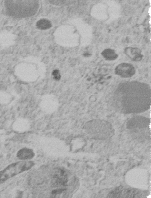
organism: C. elegans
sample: C. elegans embryo early stage